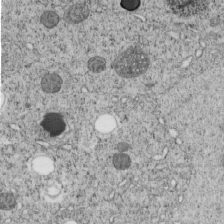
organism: C. elegans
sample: C. elegans embryo early stage